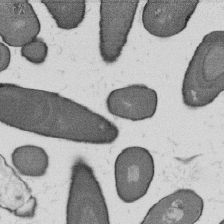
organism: B. subtilis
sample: Bacterial spore